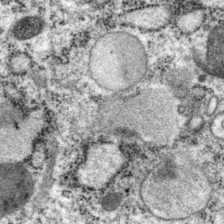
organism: P. pacificus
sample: Pharynx